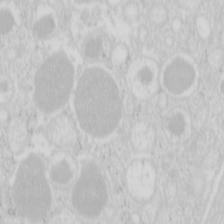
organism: Mouse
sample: Pancreas